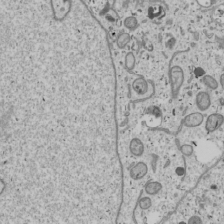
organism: Human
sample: Mitochondria in U2OS cells